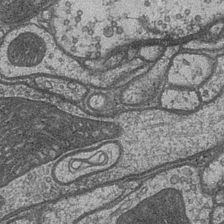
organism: Drosophila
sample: Optic medulla